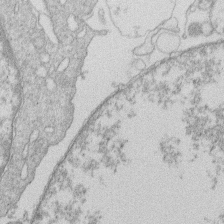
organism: Human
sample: Macrophage cells